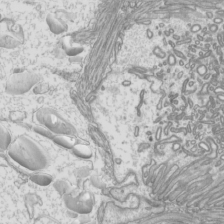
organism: Mouse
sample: Cilia; mouse epididymis